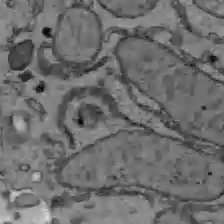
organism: C57BL Mouse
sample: Liver